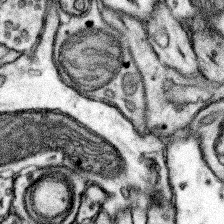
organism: Mouse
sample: Somatosensory cortex neuropil